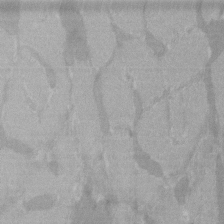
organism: C57BL Mouse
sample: Tibialis anterior muscle cell